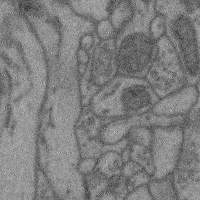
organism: Mouse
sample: Cerebral cortex